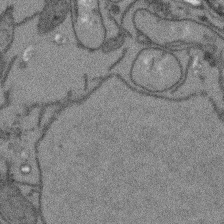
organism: Arabidopsis thaliana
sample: Root tip